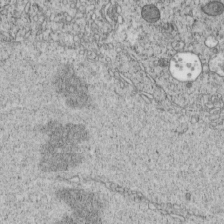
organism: C. elegans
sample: C. elegans embryo early stage